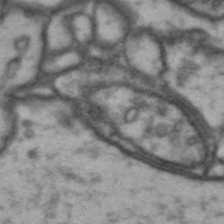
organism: Drosophila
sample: Brain